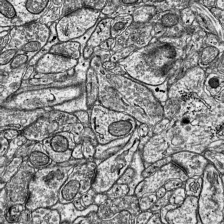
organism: Mouse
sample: Visual Cortex